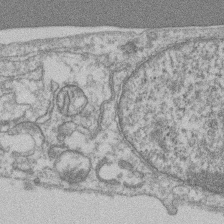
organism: Mouse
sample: T cell stromal cell synapse